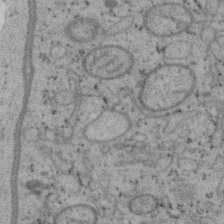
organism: Human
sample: HeLa cells